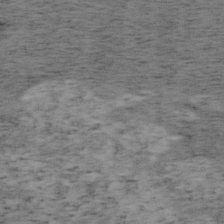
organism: Mouse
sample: OT-I killer T cells with ID8 ovarian cancer cells